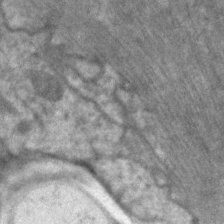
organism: C. elegans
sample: Pharynx